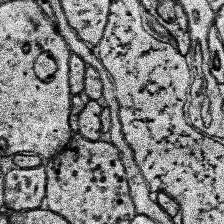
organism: Human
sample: Temporal Lobe